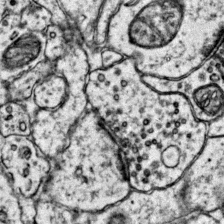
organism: Mouse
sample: Primary visual cortex